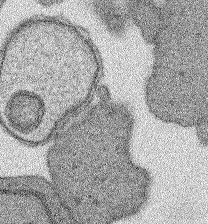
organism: Human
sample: HeLa cells